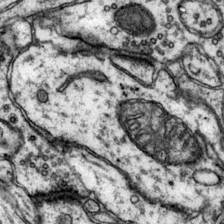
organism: Mouse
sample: Primary visual cortex